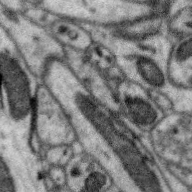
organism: Zebra finch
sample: Brain